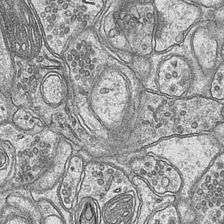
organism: Mouse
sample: CA1 Hippocampus